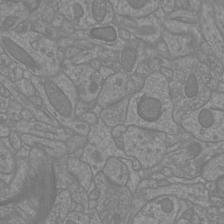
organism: Mouse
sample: Cortical neurons